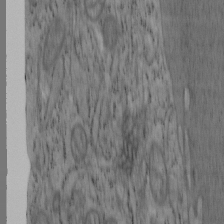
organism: Human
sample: HeLa cells